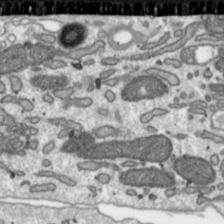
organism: Toxoplasma gondii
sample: Parasites in a vacuole inside a host cell